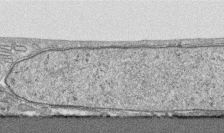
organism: Human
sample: CRL-1474